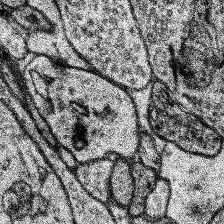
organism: Human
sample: Temporal Lobe